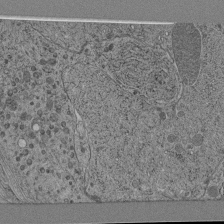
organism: C. elegans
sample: C. elegans pharynx